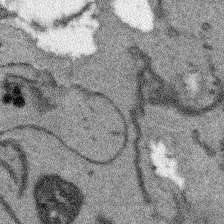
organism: Arabidopsis thaliana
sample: Root tip